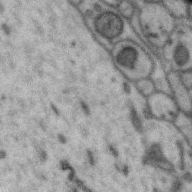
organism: Zebra finch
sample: Brain